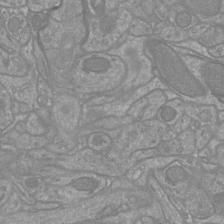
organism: Mouse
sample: Cortical neurons